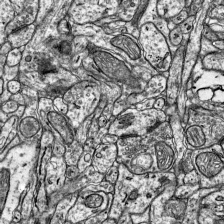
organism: Mouse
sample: Visual Cortex